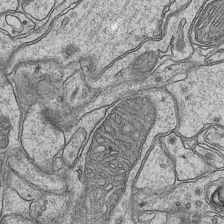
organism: Mouse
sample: CA1 Hippocampus